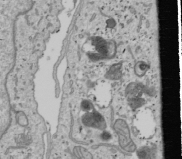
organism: Human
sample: Mitochondria in U2OS cells